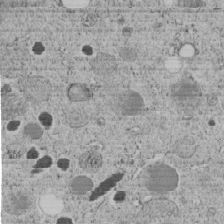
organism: C. elegans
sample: C. elegans embryo early stage